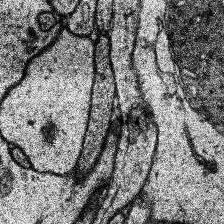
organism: Human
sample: Temporal Lobe